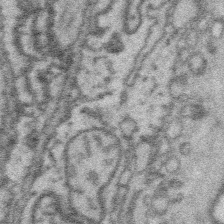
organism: Platynereis dumerilii